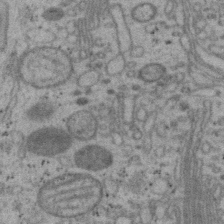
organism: Human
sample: HeLa cells